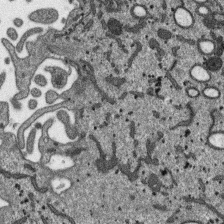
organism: Human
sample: Lung epithelial cells infected with SARS-CoV-2